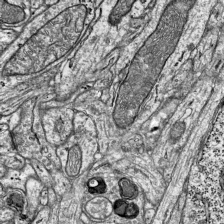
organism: Mouse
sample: Visual Cortex